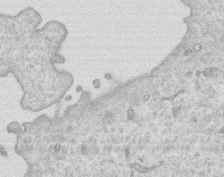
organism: Human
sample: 1205lu cells